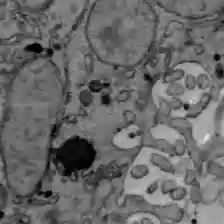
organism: C57BL Mouse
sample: Liver